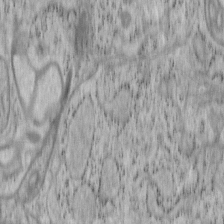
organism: Human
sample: HeLa cells